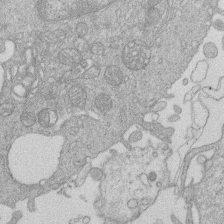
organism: Human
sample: Macrophage cells